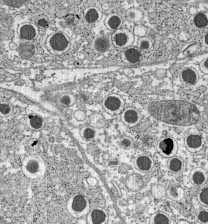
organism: C57BL Mouse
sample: Pancreatic islet